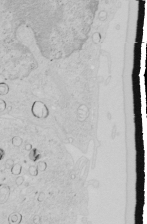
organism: Human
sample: Mitochondria in HCT116 cells